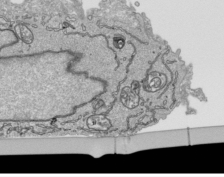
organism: Human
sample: Mitochondria in HCT116 cells